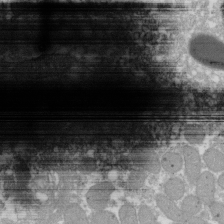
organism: Xenopus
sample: Cilia; centrioles in frog embryo cells